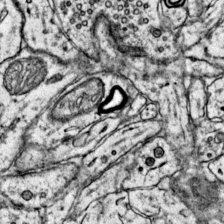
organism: Mouse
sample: Primary visual cortex